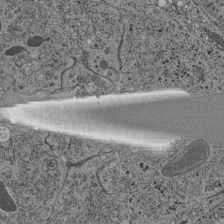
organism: C. elegans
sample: C. elegans pharynx